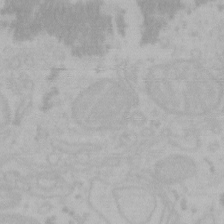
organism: Mouse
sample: Choroid plexus